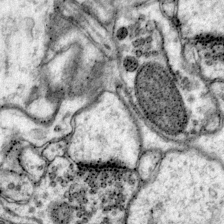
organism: Mouse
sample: Primary visual cortex